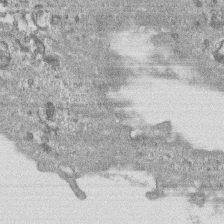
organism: Human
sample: CRL-1474